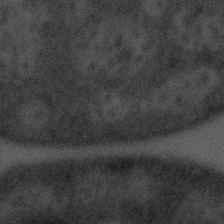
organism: Tuwongella immobilis